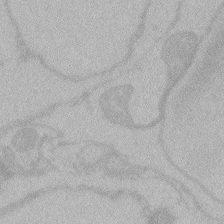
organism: Zebrafish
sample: Macrophage infected with Toxoplasma gondii